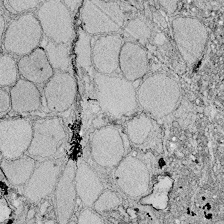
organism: Zebrafish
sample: Whole-Brain